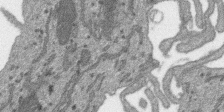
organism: Human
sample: Lung epithelial cells infected with SARS-CoV-2